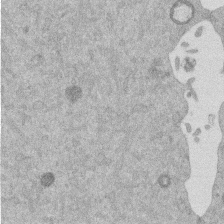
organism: Mouse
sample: Dividing mouse embryo 1 cell stage